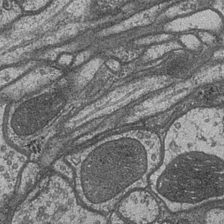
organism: Drosophila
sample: Optic medulla